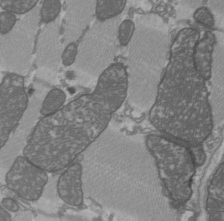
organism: C57BL Mouse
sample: Heart